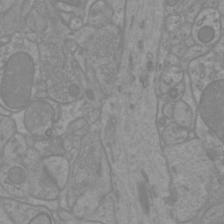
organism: Mouse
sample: Cortical neurons